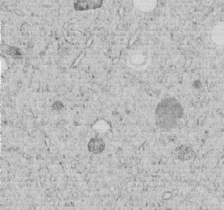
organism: C. elegans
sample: C. elegans embryo early stage